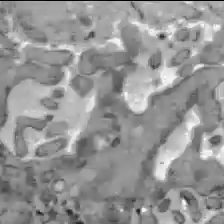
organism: C57BL Mouse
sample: Liver